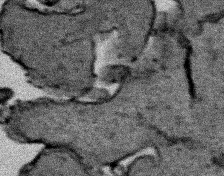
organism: Human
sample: Mitochondria in HCT116 cells